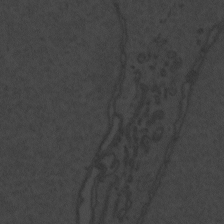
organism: Zebrafish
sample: Macrophage infected with Toxoplasma gondii